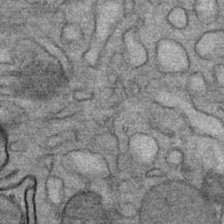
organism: Mouse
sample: Mouse Salivary gland